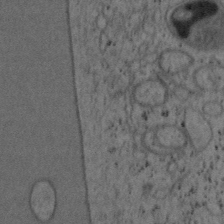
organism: Human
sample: HeLa cells